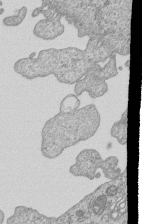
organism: Human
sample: MDA-MB-231 cells